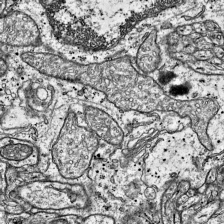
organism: Mouse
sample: Visual Cortex